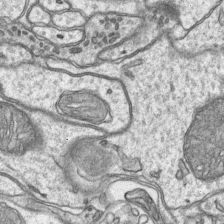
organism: Mouse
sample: CA1 Hippocampus